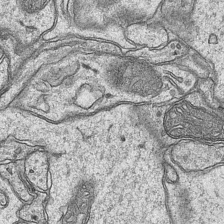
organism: Mouse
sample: CA1 Hippocampus